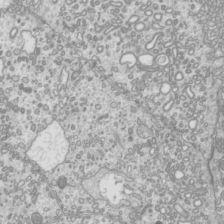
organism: Mouse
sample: Cilia; mouse epididymis